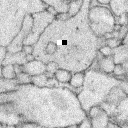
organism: Rabbit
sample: Retina